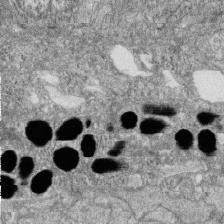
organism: Zebrafish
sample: Cilia; retinal pigment epithelium